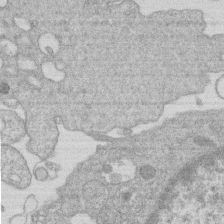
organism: Human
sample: Macrophage cells